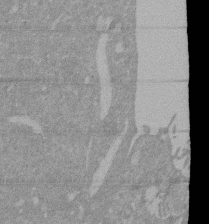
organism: Mouse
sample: ED-1 cell nuclei; centrioles